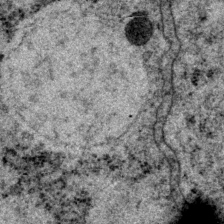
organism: P. pacificus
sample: Pharynx